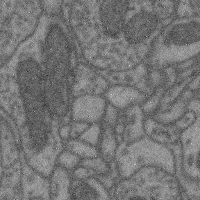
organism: Mouse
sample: Cerebral cortex